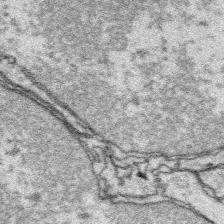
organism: Platynereis dumerilii